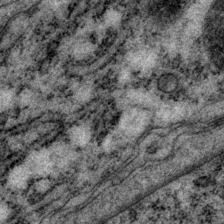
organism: P. pacificus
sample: Pharynx